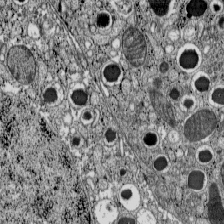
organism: C57BL Mouse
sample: Pancreatic islet